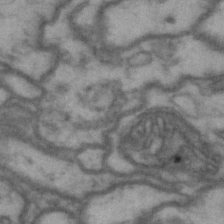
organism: Drosophila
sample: Brain